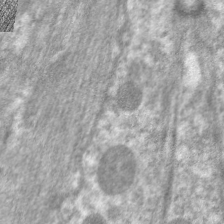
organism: C. elegans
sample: Pharynx